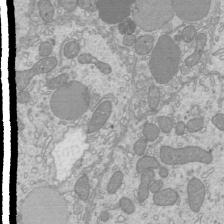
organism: Mouse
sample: Cilia; mouse epididymis